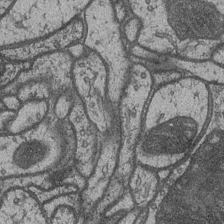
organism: Drosophila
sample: Optic medulla